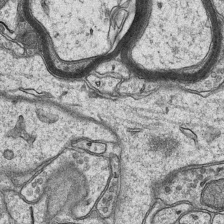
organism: Mouse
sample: CA1 Hippocampus